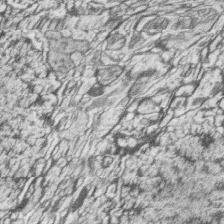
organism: Zebrafish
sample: synaptic ribbons in rod cells and cone cells